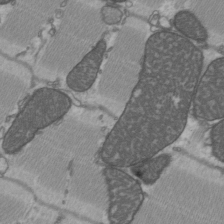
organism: C57BL Mouse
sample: Heart